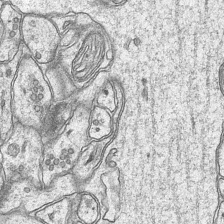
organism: Mouse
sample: CA1 Hippocampus